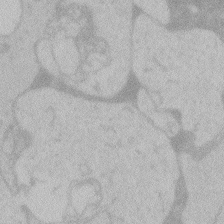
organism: Zebrafish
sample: Macrophage infected with Toxoplasma gondii